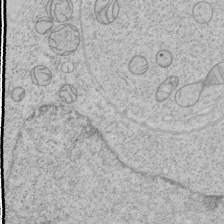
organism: Human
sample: Mitochondria in HCT116 cells